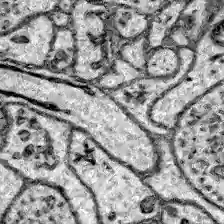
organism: Zebrafish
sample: Brain